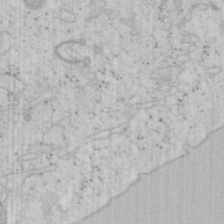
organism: Human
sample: HeLa cells